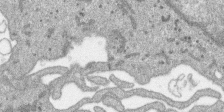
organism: Human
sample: Lung epithelial cells infected with SARS-CoV-2